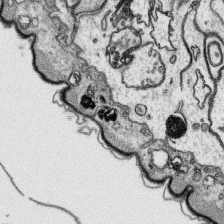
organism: Platynereis dumerilii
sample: Parapodia